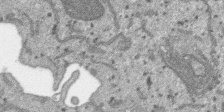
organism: Human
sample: Lung epithelial cells infected with SARS-CoV-2